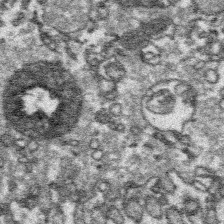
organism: Platynereis dumerilii